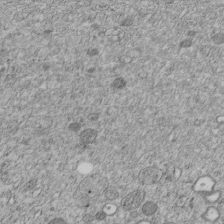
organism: C. elegans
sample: C. elegans embryo early stage